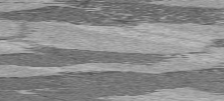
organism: C57BL Mouse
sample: Heart